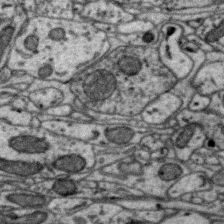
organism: Zebra finch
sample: Brain